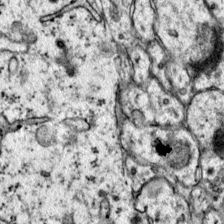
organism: Mouse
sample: Primary visual cortex